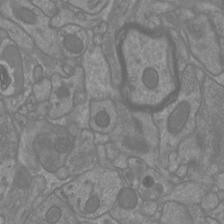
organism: Mouse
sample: Cortical neurons